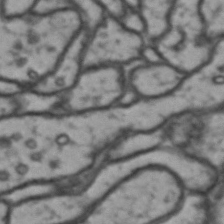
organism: Drosophila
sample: Brain